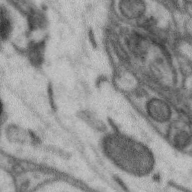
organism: Zebra finch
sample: Brain